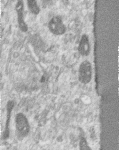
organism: Human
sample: Centriole in RPE cells